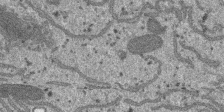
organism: Human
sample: Lung epithelial cells infected with SARS-CoV-2